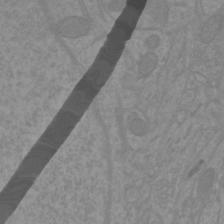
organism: Mouse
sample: Cortical neurons